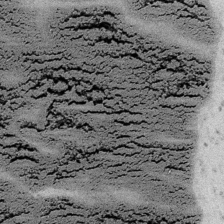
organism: Embia sp.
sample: Silk gland